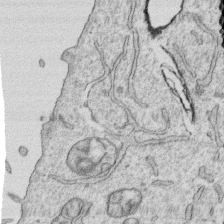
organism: Human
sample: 1205lu cells